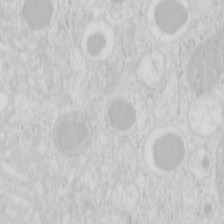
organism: Mouse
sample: Pancreas